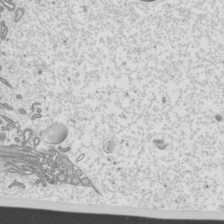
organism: Mouse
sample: Cilia; mouse epididymis